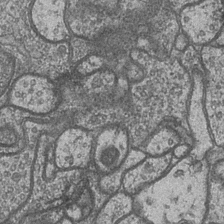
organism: Drosophila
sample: Optic medulla